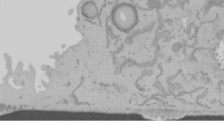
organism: Mouse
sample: Cancer cell death in ED-1 cells